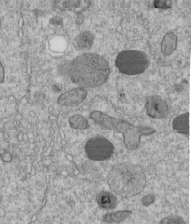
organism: C. elegans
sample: C. elegans embryo early stage